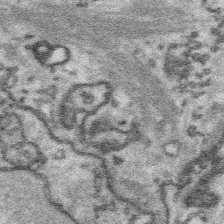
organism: Platynereis dumerilii